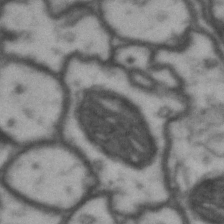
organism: Drosophila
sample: Brain